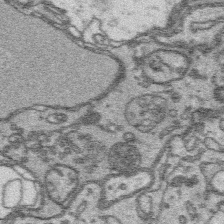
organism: Platynereis dumerilii